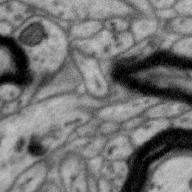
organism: Zebra finch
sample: Brain